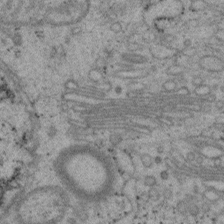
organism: Human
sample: HeLa cells